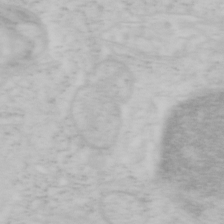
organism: Mouse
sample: OT-I killer T cells with ID8 ovarian cancer cells